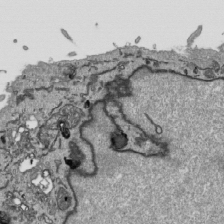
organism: Human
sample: Mitochondria in HCT116 cells